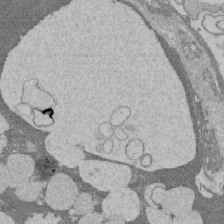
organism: Rat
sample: Salivary granule